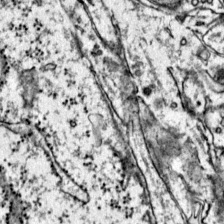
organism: Mouse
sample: Primary visual cortex